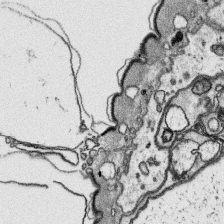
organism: Platynereis dumerilii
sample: Parapodia